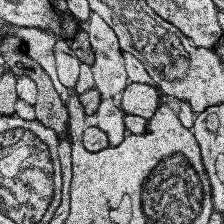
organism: Human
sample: Temporal Lobe